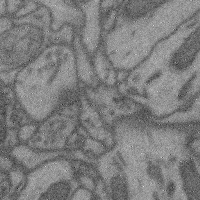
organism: Mouse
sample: Cerebral cortex